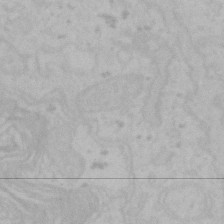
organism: Mouse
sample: Choroid plexus